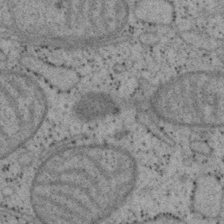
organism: Human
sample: HeLa cells